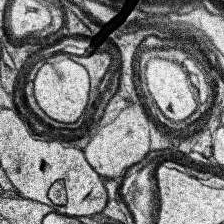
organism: Human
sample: Temporal Lobe